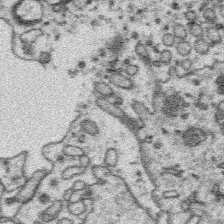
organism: Platynereis dumerilii